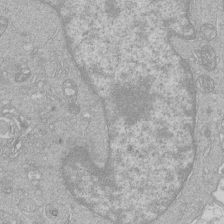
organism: Human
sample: Macrophage cells